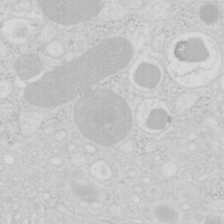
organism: Mouse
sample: Pancreas